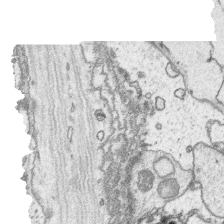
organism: Platynereis dumerilii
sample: Parapodia